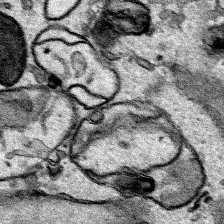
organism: Human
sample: Mitochondria in HCT116 cells